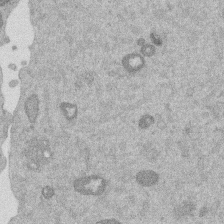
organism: Mouse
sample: Dividing mouse embryo 1 cell stage